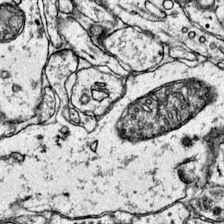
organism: Mouse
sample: Primary visual cortex